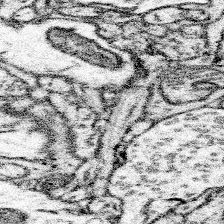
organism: Mouse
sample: Somatosensory cortex neuropil